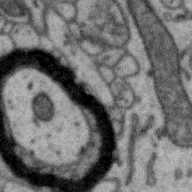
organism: Zebra finch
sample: Brain